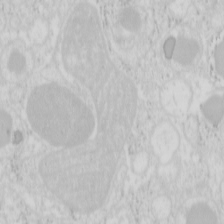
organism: Mouse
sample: Pancreas